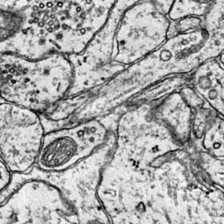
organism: Mouse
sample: Primary visual cortex